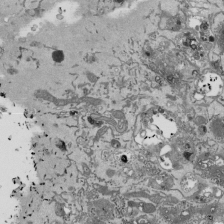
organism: Mouse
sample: ED-1 cell nuclei; centrioles